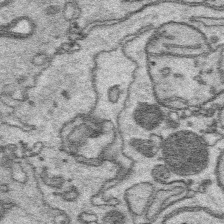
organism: Platynereis dumerilii